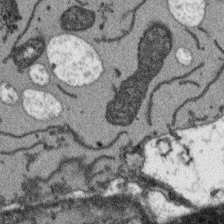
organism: Arabidopsis thaliana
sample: Root tip